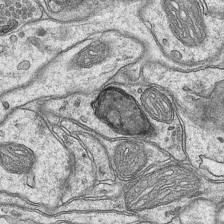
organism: Mouse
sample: CA1 Hippocampus